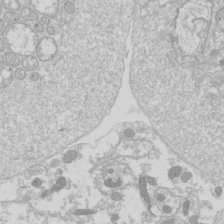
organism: Drosophila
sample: Cell division; meiosis; drosophila spermatocytes